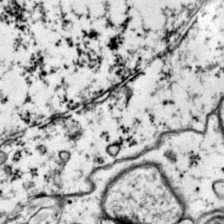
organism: Mouse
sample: Primary visual cortex